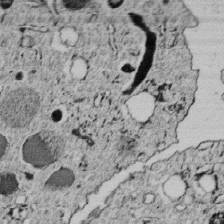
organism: C. elegans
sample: C. elegans embryo early stage